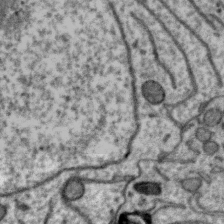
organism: Zebra finch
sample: Brain